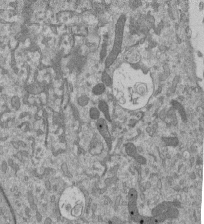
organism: Mouse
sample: ED-1 cell nuclei; centrioles